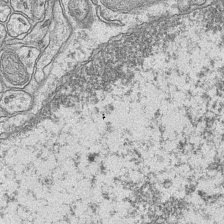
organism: Mouse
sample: CA1 Hippocampus